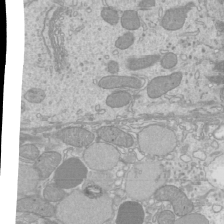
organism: Mouse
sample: Cilia; mouse epididymis